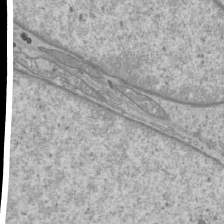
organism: Mouse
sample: Cilia; mouse epididymis